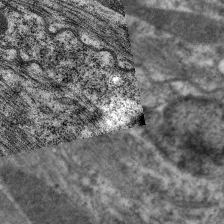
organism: C. elegans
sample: Pharynx